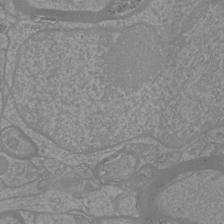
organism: Mouse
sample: Cortical neurons